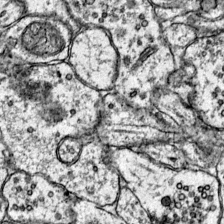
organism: Mouse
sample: Primary visual cortex